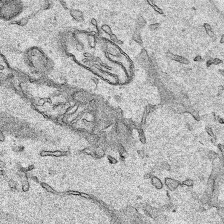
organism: Human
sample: Mitochondria in HCT116 cells